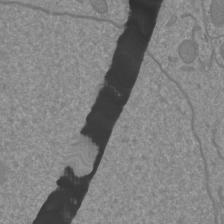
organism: Mouse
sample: Cortical neurons